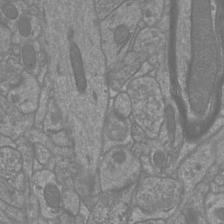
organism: Mouse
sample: Cortical neurons